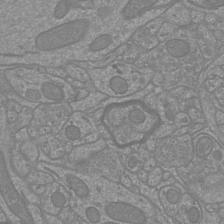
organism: Mouse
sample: Cortical neurons